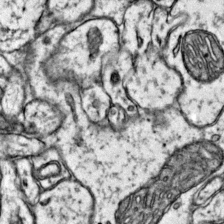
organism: Mouse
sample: Primary visual cortex